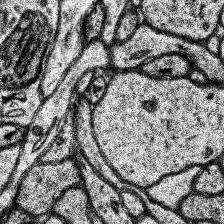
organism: Human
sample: Temporal Lobe